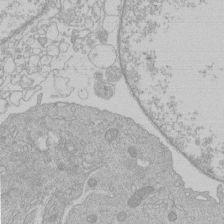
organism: Human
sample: Macrophage cells